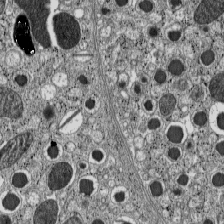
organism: C57BL Mouse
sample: Pancreatic islet